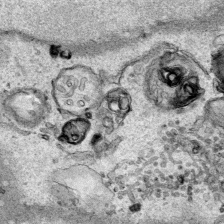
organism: Human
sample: Mitochondria in HCT116 cells